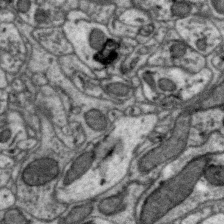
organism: Zebra finch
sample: Brain